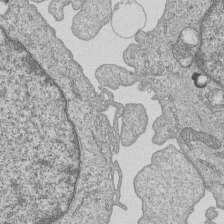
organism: Human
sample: MDA-MB-231 cells